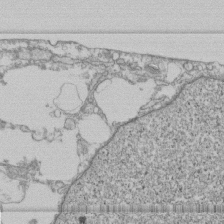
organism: Human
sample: Fibroblast cells